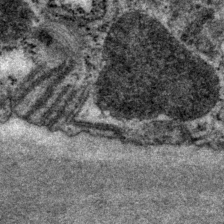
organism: P. pacificus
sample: Pharynx